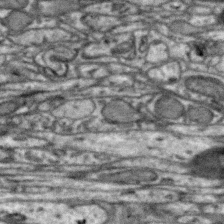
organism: Zebra finch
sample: Brain